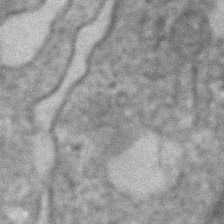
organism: Human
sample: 1205lu cells